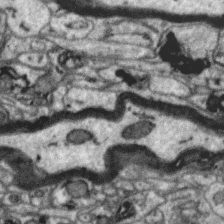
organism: Zebra finch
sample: Brain